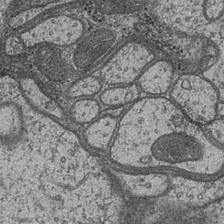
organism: Drosophila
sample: Optic medulla